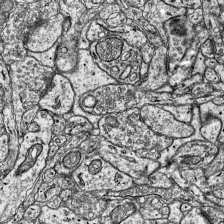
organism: Mouse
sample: Visual Cortex